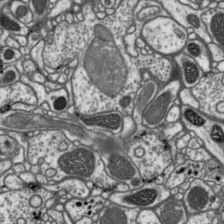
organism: Drosophila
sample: Protocerebral bridge